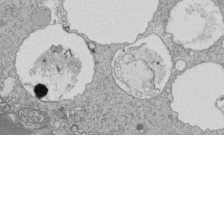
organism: Tetrahymena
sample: Cilia in tetrahymena